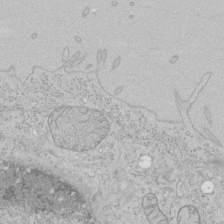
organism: Human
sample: Mitochondria in HCT116 cells